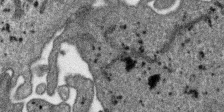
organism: Human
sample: Lung epithelial cells infected with SARS-CoV-2